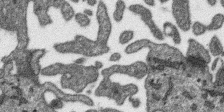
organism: Human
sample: Lung epithelial cells infected with SARS-CoV-2